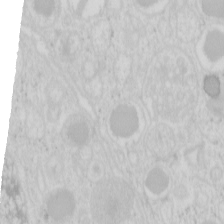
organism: Mouse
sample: Pancreas